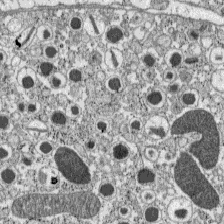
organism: C57BL Mouse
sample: Pancreatic islet